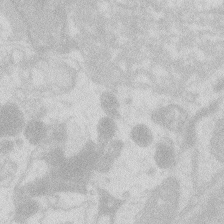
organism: Zebrafish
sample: Macrophage